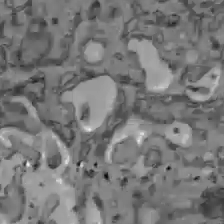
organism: C57BL Mouse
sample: Liver